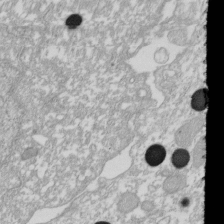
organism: Xenopus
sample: Cilia; centrioles in frog embryo cells